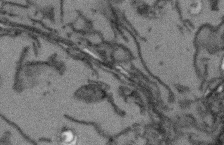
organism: Arabidopsis thaliana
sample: Root tip